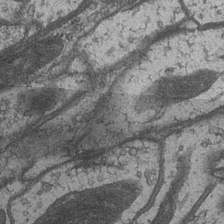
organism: Drosophila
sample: Optic medulla